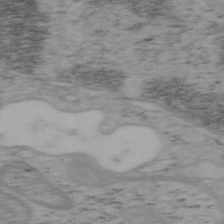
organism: Mouse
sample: OT-I killer T cells with ID8 ovarian cancer cells